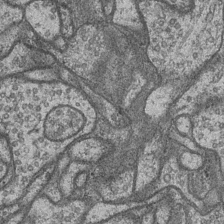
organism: Drosophila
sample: Optic medulla